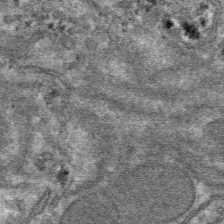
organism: Mouse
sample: Mouse hepatocytes